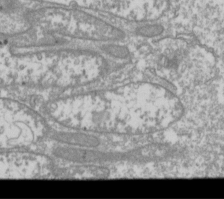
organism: Drosophila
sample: Cell division; meiosis; drosophila spermatocytes